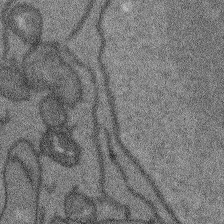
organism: Arabidopsis thaliana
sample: Root tip